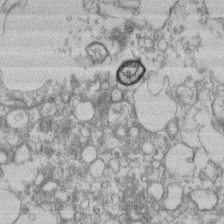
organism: Mouse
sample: T cell stromal cell synapse